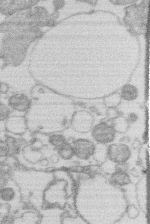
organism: Human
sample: Macrophage cells